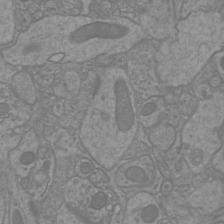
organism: Mouse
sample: Cortical neurons